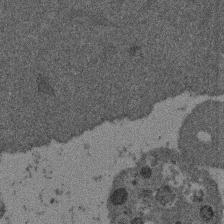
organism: Mouse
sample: Dividing mouse embryo 1 cell stage